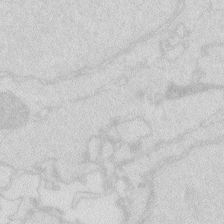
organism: Zebrafish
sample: Macrophage